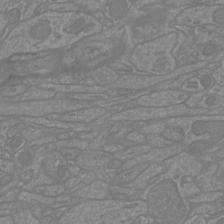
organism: Mouse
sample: Cortical neurons